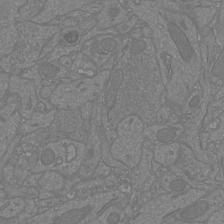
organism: Mouse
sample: Cortical neurons